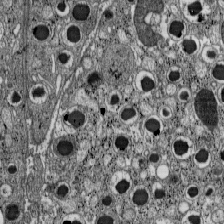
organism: C57BL Mouse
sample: Pancreatic islet